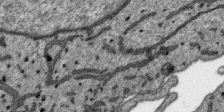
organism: Human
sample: Lung epithelial cells, uninfected (mock) control